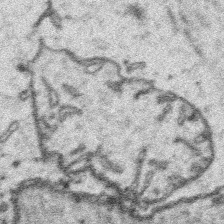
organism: Platynereis dumerilii